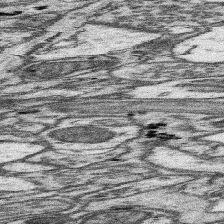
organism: Mouse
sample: Somatosensory cortex neuropil